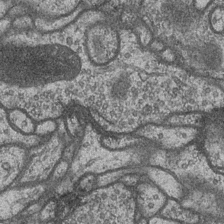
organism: Drosophila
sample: Optic medulla